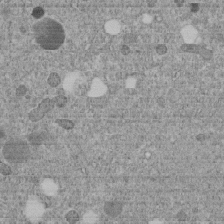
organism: C. elegans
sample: C. elegans embryo early stage